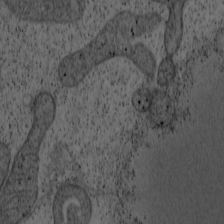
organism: African green monkey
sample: COS-7 cells